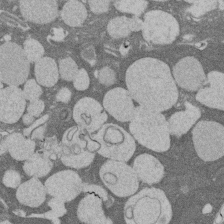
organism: Rat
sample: Salivary granule